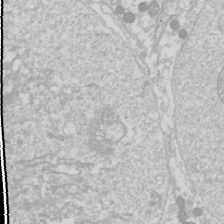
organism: Drosophila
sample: Cell division; meiosis; drosophila spermatocytes